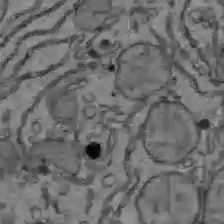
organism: C57BL Mouse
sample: Liver